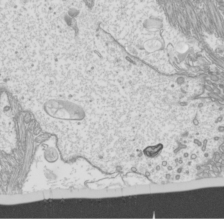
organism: Mouse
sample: Cilia; mouse epididymis